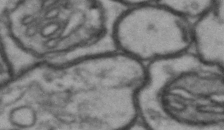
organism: Drosophila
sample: Brain